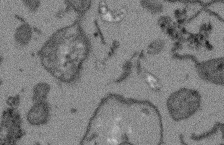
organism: Arabidopsis thaliana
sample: Root tip